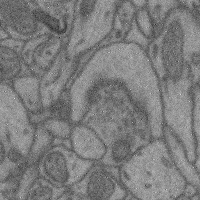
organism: Mouse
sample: Cerebral cortex